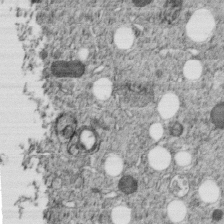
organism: C. elegans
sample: C. elegans embryo early stage